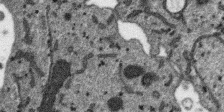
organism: Human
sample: Lung epithelial cells infected with SARS-CoV-2